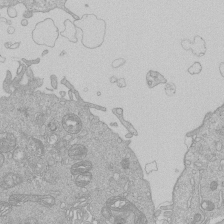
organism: Human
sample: Macrophage cells